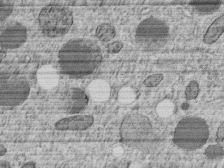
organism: C. elegans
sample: C. elegans embryo early stage